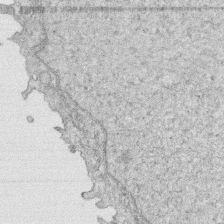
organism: Human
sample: HeLa cell HIV synapse